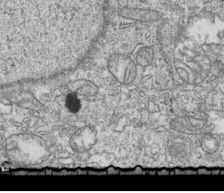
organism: Human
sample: HeLa cell HIV synapse